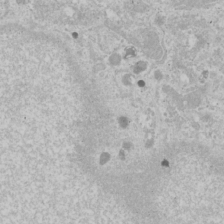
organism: Human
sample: Mitochondria in U2OS cells